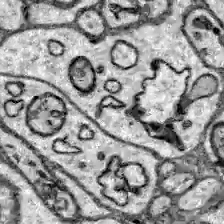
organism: Zebrafish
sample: Brain